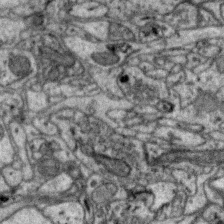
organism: Zebra finch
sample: Brain